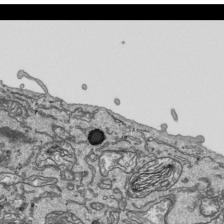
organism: Human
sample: Mitochondria in HCT116 cells